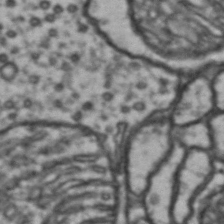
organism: Drosophila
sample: Brain